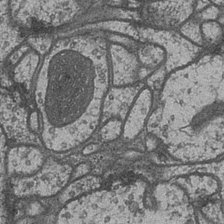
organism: Drosophila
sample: Optic medulla